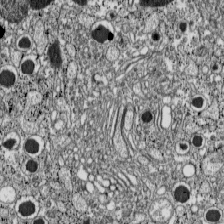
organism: C57BL Mouse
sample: Pancreatic islet